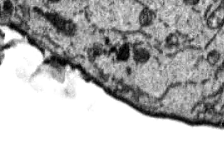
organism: Human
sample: HeLa cells